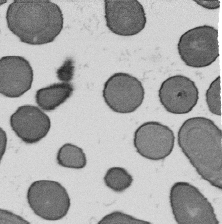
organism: B. subtilis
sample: Bacterial spore